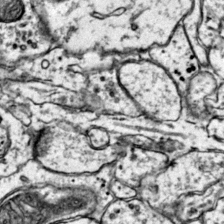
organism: Mouse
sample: Primary visual cortex